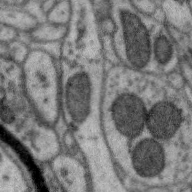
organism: Zebra finch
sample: Brain